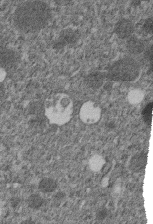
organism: C. elegans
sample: C. elegans embryo early stage